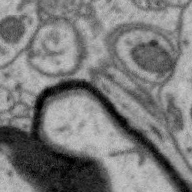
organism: Zebra finch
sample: Brain